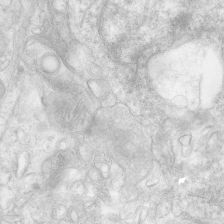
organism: Human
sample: Neocortex